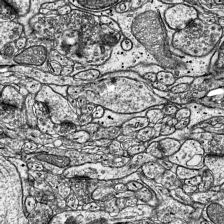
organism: Mouse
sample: Visual Cortex